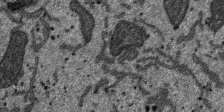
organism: Human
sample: Lung epithelial cells infected with SARS-CoV-2